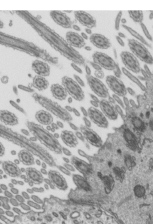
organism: Mouse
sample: Mouse epididymis efferent ductule cilia